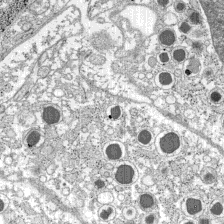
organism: C57BL Mouse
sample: Pancreatic islet